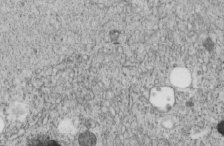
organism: C. elegans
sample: C. elegans embryo early stage